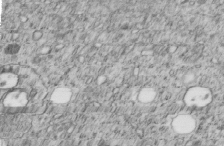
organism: C. elegans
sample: C. elegans embryo early stage